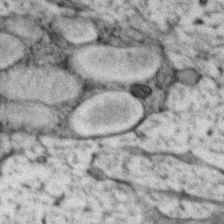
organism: Zebrafish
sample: Zebrafish embryo